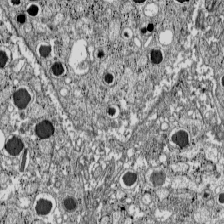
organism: C57BL Mouse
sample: Pancreatic islet